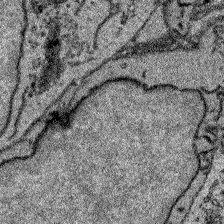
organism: Zebrafish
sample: Larval olfactory bulb